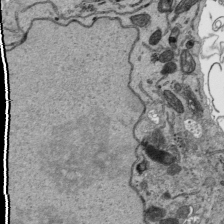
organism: Human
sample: Mitochondria in HCT116 cells